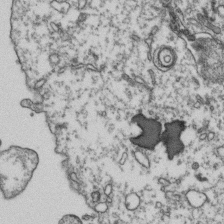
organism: Human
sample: Activated Jurkat CD4+ T cells